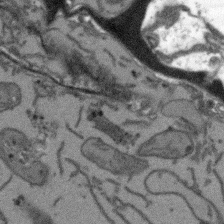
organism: Arabidopsis thaliana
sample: Root tip